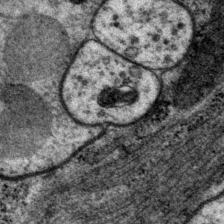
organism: P. pacificus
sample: Pharynx